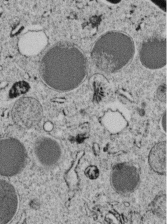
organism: C. elegans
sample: C. elegans embryo early stage